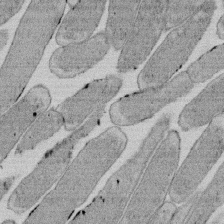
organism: E. coli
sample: Bacterial nucleoid